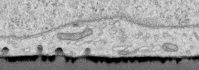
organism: Human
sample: Centriole in RPE cells